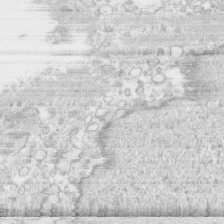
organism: Human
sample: CRL-1474